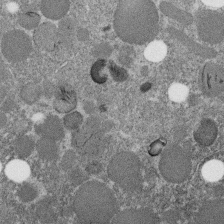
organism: C. elegans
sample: C. elegans embryo early stage